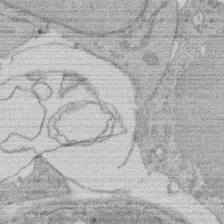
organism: Rat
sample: Salivary granule